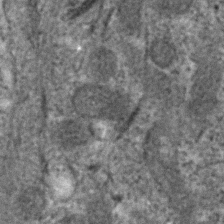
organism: Human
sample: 1205lu cells